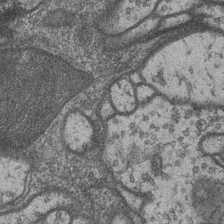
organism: Drosophila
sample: Optic medulla